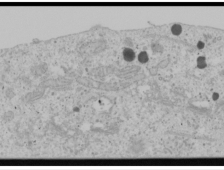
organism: Human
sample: Mitochondria in U2OS cells